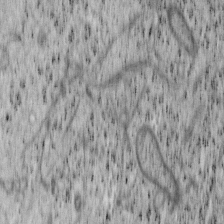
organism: Human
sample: HeLa cells